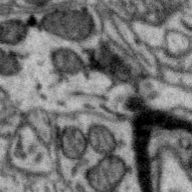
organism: Zebra finch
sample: Brain